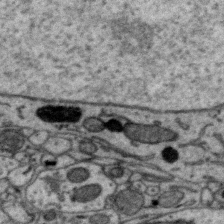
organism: Zebra finch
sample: Brain